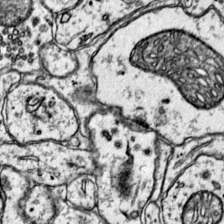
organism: Mouse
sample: Primary visual cortex